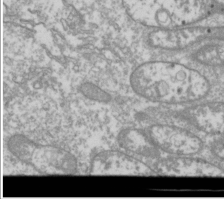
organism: Drosophila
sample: Cell division; meiosis; drosophila spermatocytes